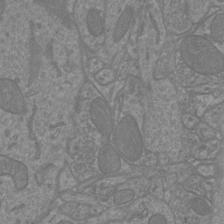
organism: Mouse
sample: Cortical neurons